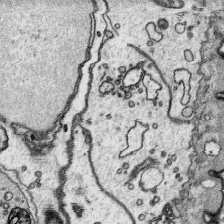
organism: Platynereis dumerilii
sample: Parapodia